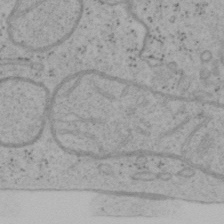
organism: Human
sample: HeLa cells